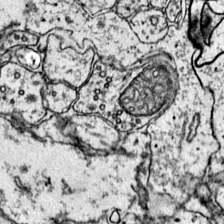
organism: Mouse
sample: Primary visual cortex